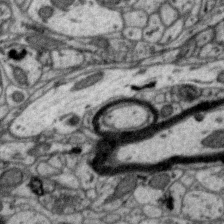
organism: Zebra finch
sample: Brain